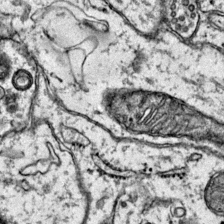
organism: Mouse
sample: Primary visual cortex